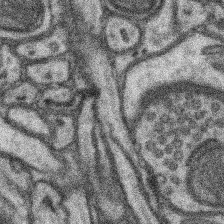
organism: Mouse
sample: Somatosensory cortex neuropil